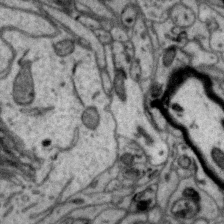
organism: Zebra finch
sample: Brain